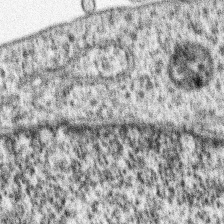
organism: Human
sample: HeLa cells